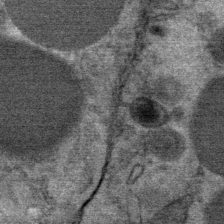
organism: Mouse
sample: Mouse Salivary gland